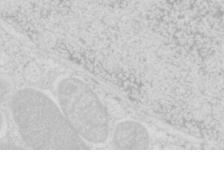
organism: Mouse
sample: Pancreas